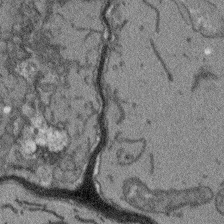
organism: Arabidopsis thaliana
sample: Root tip